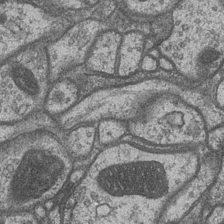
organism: Drosophila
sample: Optic medulla